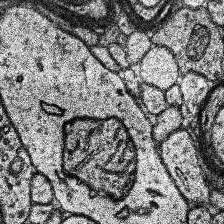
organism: Human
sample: Temporal Lobe